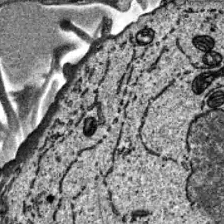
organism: Human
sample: HeLa cells